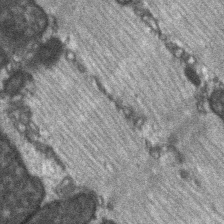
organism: C57BL Mouse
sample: Soleus